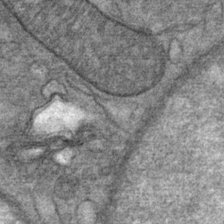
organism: Mouse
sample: Mouse Salivary gland